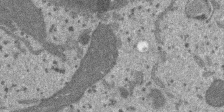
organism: Human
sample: Lung epithelial cells infected with SARS-CoV-2